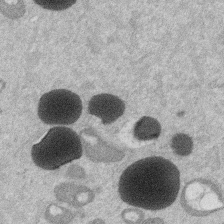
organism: Mouse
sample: Dividing mouse embryo 1 cell stage